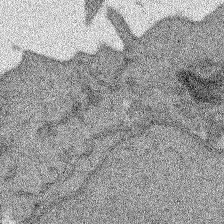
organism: Human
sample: HeLa cells